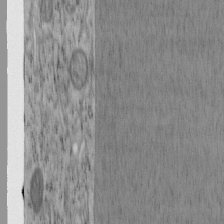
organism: Human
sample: HeLa cells